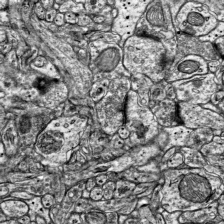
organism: Mouse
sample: Visual Cortex